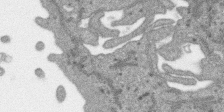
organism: Human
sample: Lung epithelial cells infected with SARS-CoV-2